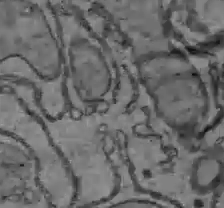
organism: C57BL Mouse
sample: Liver